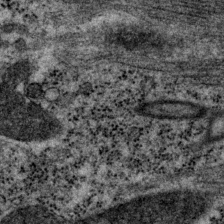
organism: P. pacificus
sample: Pharynx